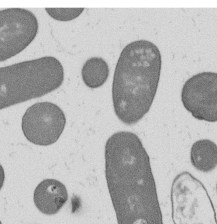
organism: B. subtilis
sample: Bacterial spore